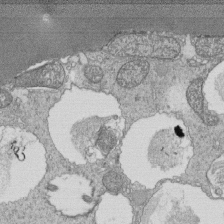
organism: Tetrahymena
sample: Cilia in tetrahymena